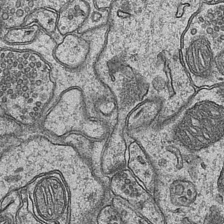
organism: Mouse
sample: CA1 Hippocampus